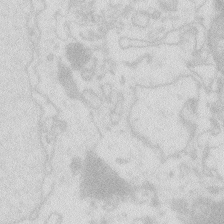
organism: Zebrafish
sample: Macrophage